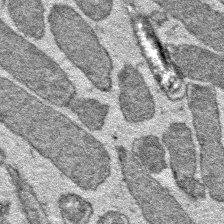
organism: E. coli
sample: E. Coli Bacteria